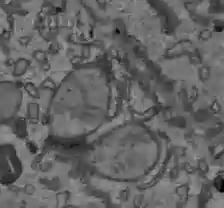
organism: C57BL Mouse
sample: Liver